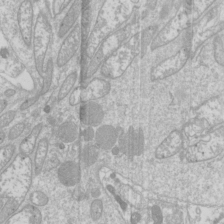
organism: Drosophila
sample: Cell division; meiosis; drosophila spermatocytes